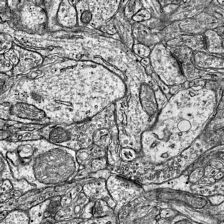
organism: Mouse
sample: Visual Cortex